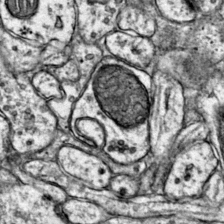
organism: Mouse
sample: Primary visual cortex